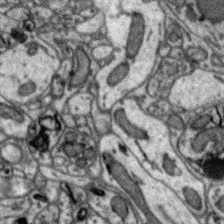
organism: Zebra finch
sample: Brain